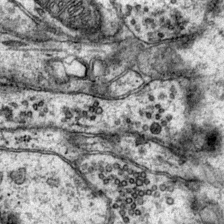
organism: Mouse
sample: Primary visual cortex